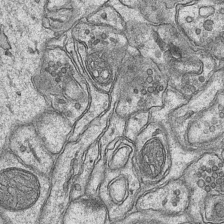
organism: Mouse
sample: CA1 Hippocampus